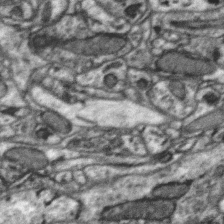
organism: Zebra finch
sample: Brain